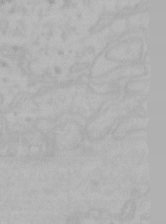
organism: Mouse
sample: Choroid plexus